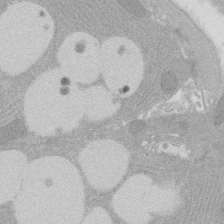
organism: Rat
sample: Salivary granule